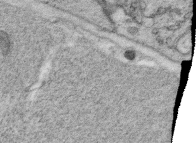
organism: C. elegans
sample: C. elegans oocyte; sperm cells